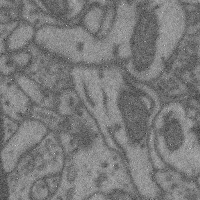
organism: Mouse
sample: Cerebral cortex